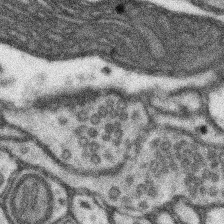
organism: Mouse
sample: Somatosensory cortex neuropil